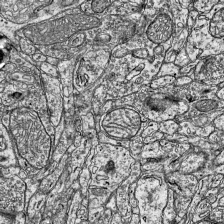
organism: Mouse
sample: Visual Cortex